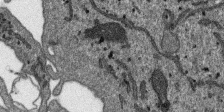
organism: Human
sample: Lung epithelial cells infected with SARS-CoV-2